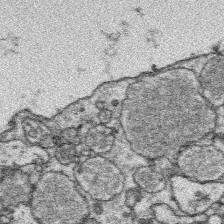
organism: Platynereis dumerilii